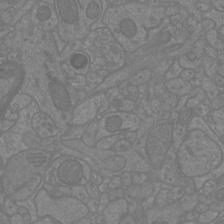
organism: Mouse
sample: Cortical neurons